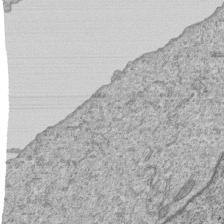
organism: Human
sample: MDA-MB-231 cells